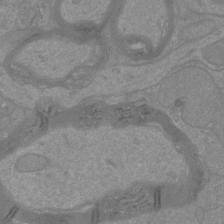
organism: Mouse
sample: Cortical neurons